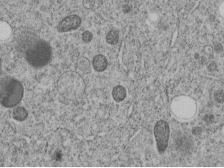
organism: C. elegans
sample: C. elegans embryo early stage